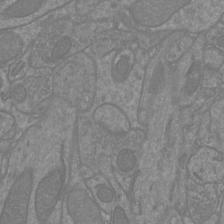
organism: Mouse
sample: Cortical neurons